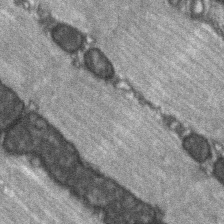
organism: C57BL Mouse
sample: Soleus